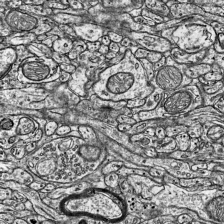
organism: Mouse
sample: Visual Cortex